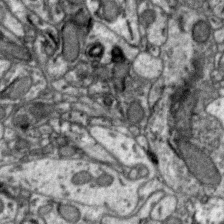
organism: Zebra finch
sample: Brain